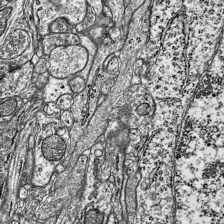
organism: Mouse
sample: Visual Cortex